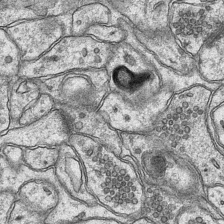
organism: Mouse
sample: CA1 Hippocampus